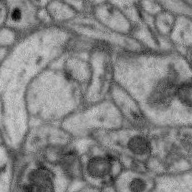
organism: Zebra finch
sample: Brain